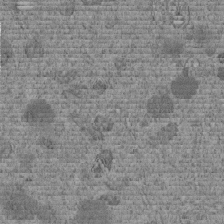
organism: C. elegans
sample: C. elegans embryo early stage